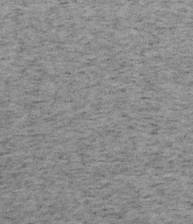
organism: Mouse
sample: OT-I killer T cells with ID8 ovarian cancer cells